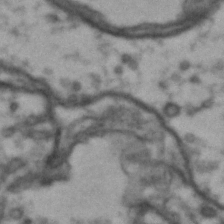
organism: Drosophila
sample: Brain